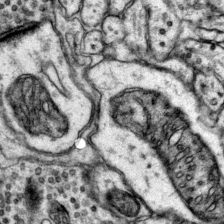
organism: Mouse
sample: Primary visual cortex